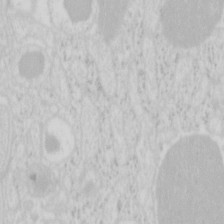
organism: Mouse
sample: Pancreas